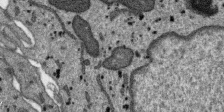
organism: Human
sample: Lung epithelial cells, uninfected (mock) control